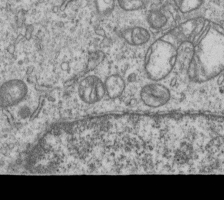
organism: Human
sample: MDA-MB-231 cells